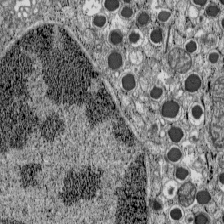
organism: C57BL Mouse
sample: Pancreatic islet